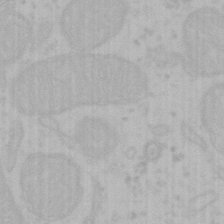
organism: Mouse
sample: Choroid plexus